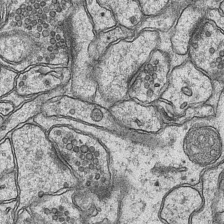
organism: Mouse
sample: CA1 Hippocampus